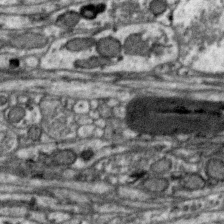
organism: Zebra finch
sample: Brain